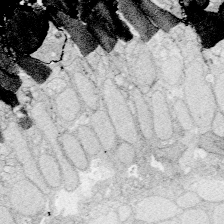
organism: Zebrafish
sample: Whole-Brain